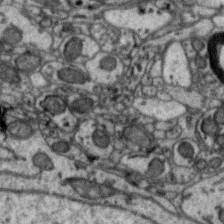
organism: Zebra finch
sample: Brain